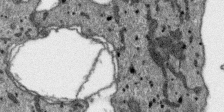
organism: Human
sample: Lung epithelial cells, uninfected (mock) control